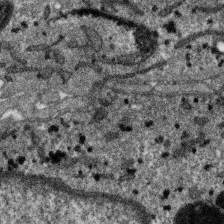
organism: Human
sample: Lung epithelial cells infected with SARS-CoV-2